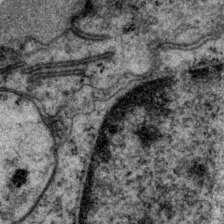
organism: P. pacificus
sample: Pharynx